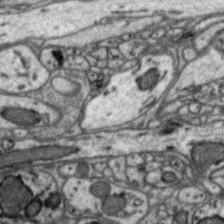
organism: Zebra finch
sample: Brain